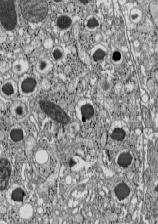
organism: C57BL Mouse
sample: Pancreatic islet